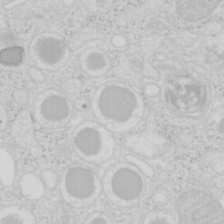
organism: Mouse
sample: Pancreas